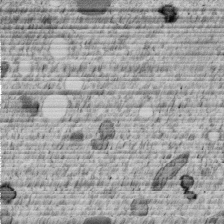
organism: C. elegans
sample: C. elegans embryo early stage